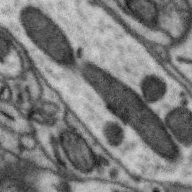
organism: Zebra finch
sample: Brain